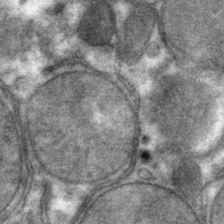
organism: Mouse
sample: Mouse hepatocytes